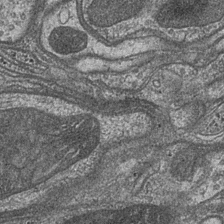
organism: Drosophila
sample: Optic medulla